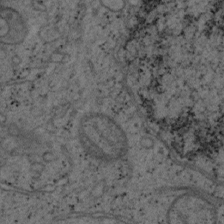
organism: Human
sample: HeLa cells